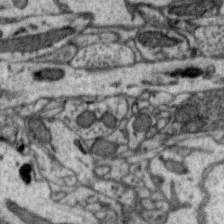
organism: Zebra finch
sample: Brain